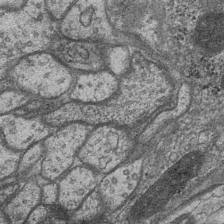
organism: Drosophila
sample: Optic medulla